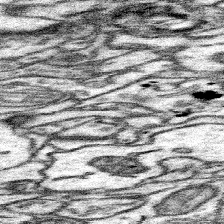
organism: Mouse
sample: Somatosensory cortex neuropil